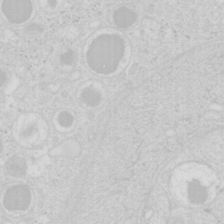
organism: Mouse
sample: Pancreas